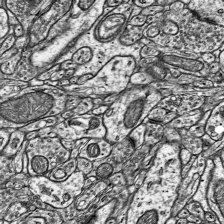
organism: Mouse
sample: Visual Cortex